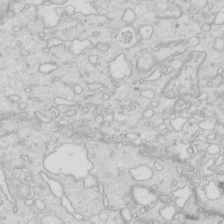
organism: Mouse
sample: Multiciliated cells